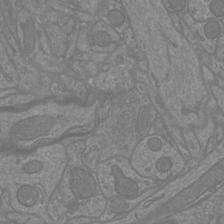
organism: Mouse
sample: Cortical neurons